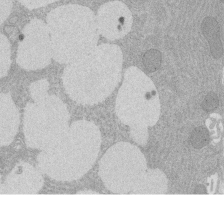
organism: Rat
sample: Salivary granule